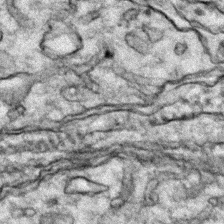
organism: Zebrafish